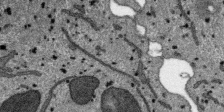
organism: Human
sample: Lung epithelial cells, uninfected (mock) control